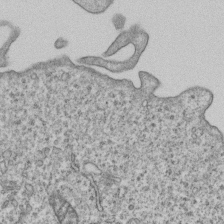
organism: Human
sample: MDA-MB-231 cells